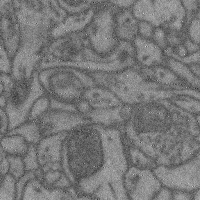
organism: Mouse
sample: Cerebral cortex